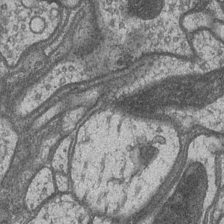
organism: Drosophila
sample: Optic medulla